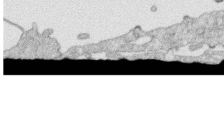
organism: Human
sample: HeLa cell HIV synapse